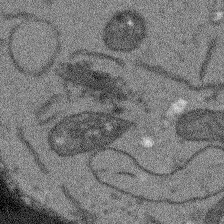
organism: Arabidopsis thaliana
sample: Root tip